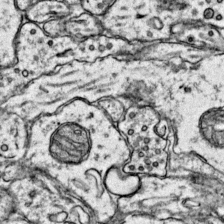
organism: Mouse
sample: Primary visual cortex